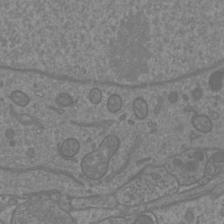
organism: Mouse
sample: Cortical neurons